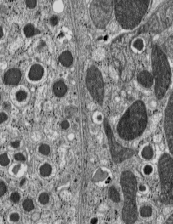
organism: C57BL Mouse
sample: Pancreatic islet